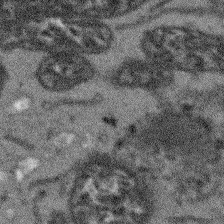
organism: Arabidopsis thaliana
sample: Root tip